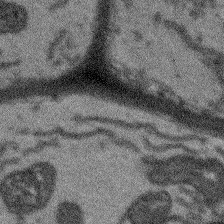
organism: Arabidopsis thaliana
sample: Root tip